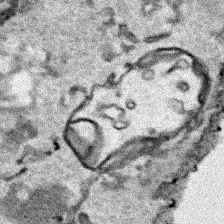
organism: Human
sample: Mitochondria in HCT116 cells